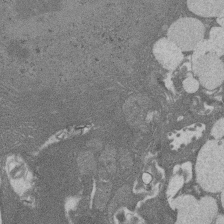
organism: Rat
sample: Salivary granule